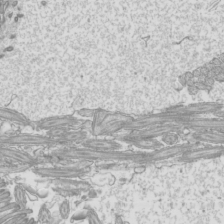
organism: Mouse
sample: Cilia; mouse epididymis